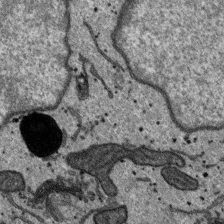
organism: Human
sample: Lung epithelial cells, uninfected (mock) control